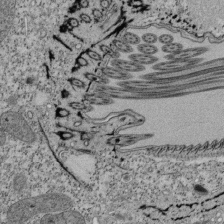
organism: Tetrahymena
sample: Cilia in tetrahymena